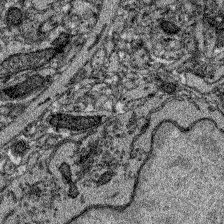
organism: Zebrafish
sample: Larval olfactory bulb